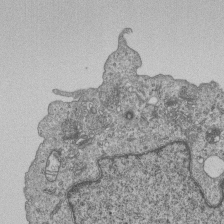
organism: Human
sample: MDA-MB-231 cells